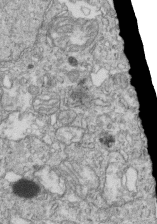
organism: Human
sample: HeLa cell HIV synapse